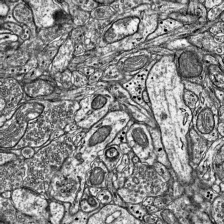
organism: Mouse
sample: Visual Cortex